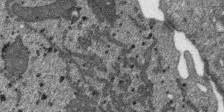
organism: Human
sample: Lung epithelial cells infected with SARS-CoV-2